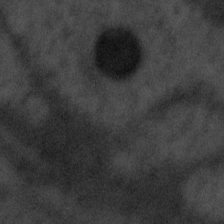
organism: Tuwongella immobilis